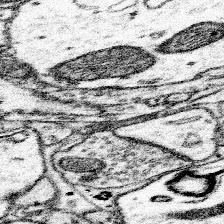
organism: Mouse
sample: Somatosensory cortex neuropil